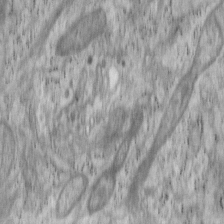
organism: Human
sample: HeLa cells